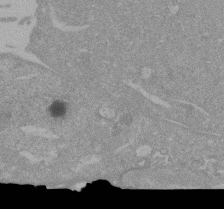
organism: Mouse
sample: ED-1 cell nuclei; centrioles